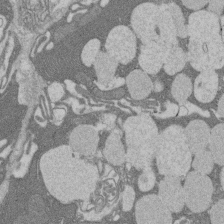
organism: Rat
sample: Salivary granule